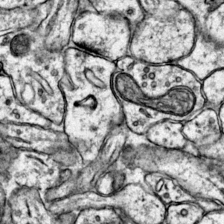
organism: Mouse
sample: Primary visual cortex